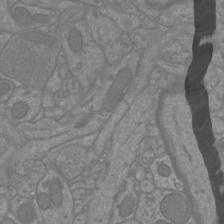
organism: Mouse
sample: Cortical neurons